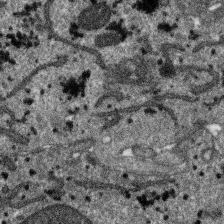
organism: Human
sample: Lung epithelial cells infected with SARS-CoV-2